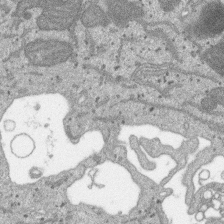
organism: Human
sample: Lung epithelial cells infected with SARS-CoV-2